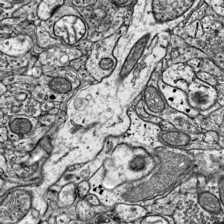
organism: Mouse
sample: Visual Cortex